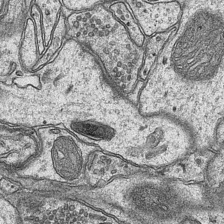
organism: Mouse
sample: CA1 Hippocampus